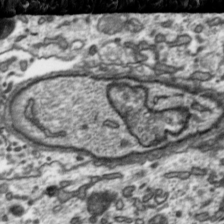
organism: Toxoplasma gondii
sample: Parasites in a vacuole inside a host cell